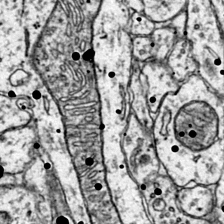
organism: Mouse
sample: Primary visual cortex